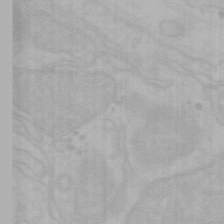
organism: Mouse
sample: Choroid plexus